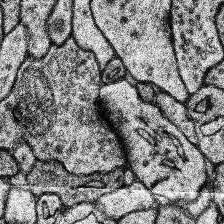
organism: Human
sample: Temporal Lobe